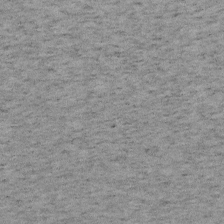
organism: Mouse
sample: OT-I killer T cells with ID8 ovarian cancer cells